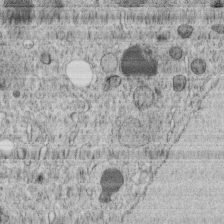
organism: C. elegans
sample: C. elegans embryo early stage